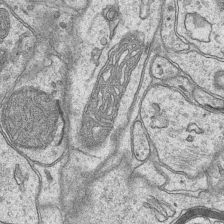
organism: Mouse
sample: CA1 Hippocampus